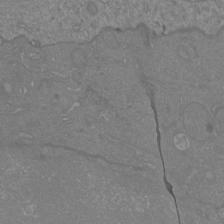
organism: Mouse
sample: Cortical neurons